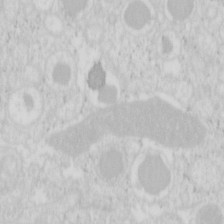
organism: Mouse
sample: Pancreas